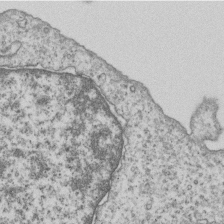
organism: Human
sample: MDA-MB-231 cells